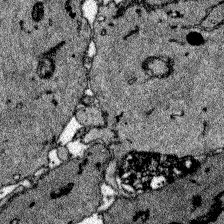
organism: Zebrafish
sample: Larval olfactory bulb